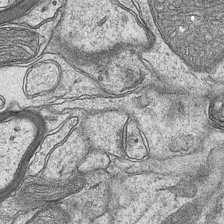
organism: Mouse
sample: CA1 Hippocampus